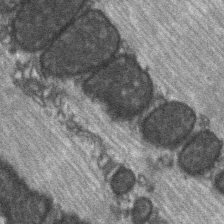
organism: C57BL Mouse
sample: Soleus